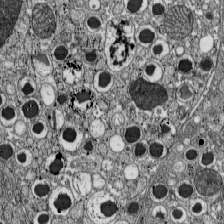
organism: C57BL Mouse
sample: Pancreatic islet